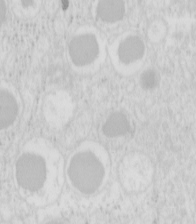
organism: Mouse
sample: Pancreas